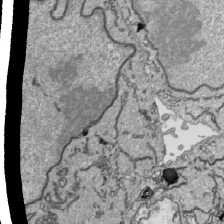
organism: Human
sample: Mitochondria in HCT116 cells